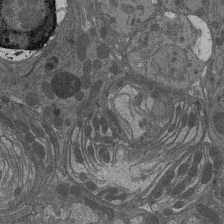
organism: Drosophila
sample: Antenna